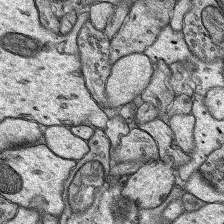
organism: Rat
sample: Hippocampus